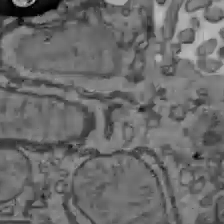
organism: C57BL Mouse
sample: Liver